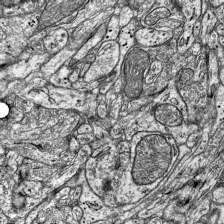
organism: Mouse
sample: Visual Cortex